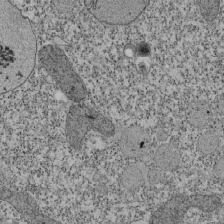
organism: Tetrahymena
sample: Cilia in tetrahymena